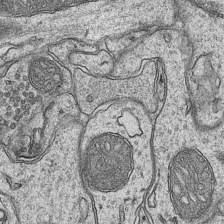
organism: Mouse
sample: CA1 Hippocampus